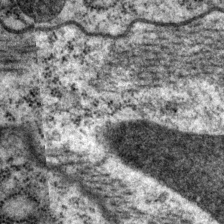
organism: P. pacificus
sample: Pharynx